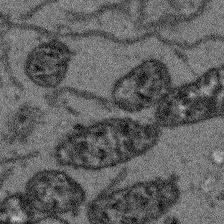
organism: Arabidopsis thaliana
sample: Root tip